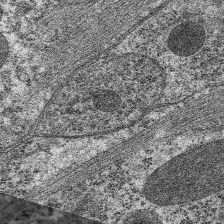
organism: C. elegans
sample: Pharynx